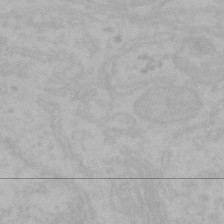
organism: Mouse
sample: Choroid plexus